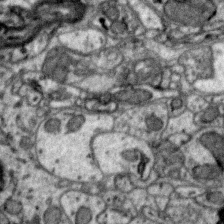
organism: Zebra finch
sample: Brain